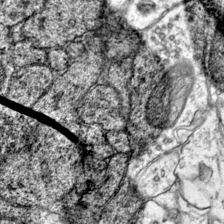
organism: Mouse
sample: Primary visual cortex